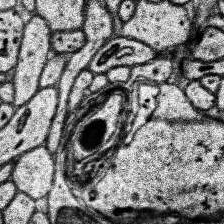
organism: Human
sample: Temporal Lobe